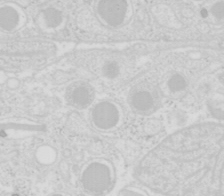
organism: Mouse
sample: Pancreas